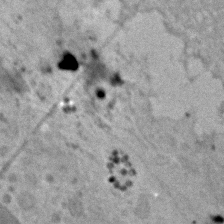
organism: Zebrafish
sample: Zebrafish embryo